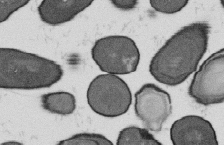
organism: B. subtilis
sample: Bacterial spore